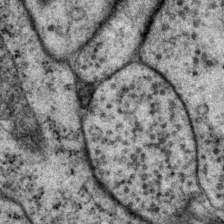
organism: P. pacificus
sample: Pharynx